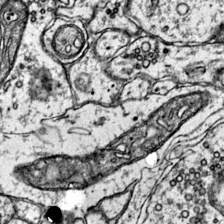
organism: Mouse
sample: Primary visual cortex